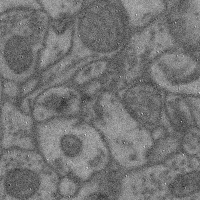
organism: Mouse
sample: Cerebral cortex